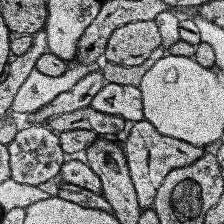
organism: Human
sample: Temporal Lobe